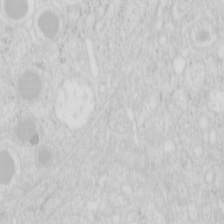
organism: Mouse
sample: Pancreas